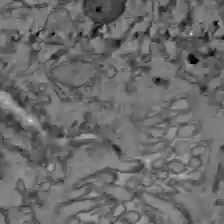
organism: C57BL Mouse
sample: Liver